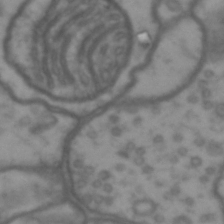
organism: Drosophila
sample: Brain